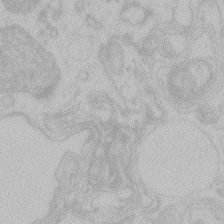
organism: Zebrafish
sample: Macrophage infected with Toxoplasma gondii